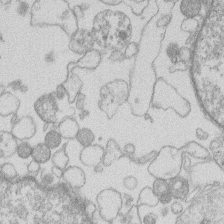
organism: Human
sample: Macrophage cells